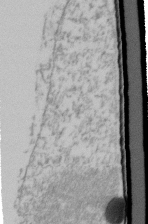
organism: Human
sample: U2-OS cells